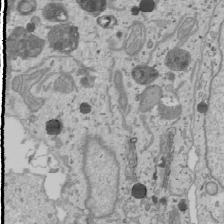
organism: Human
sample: Mitochondria in U2OS cells